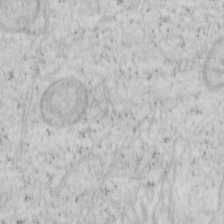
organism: Human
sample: HeLa cells